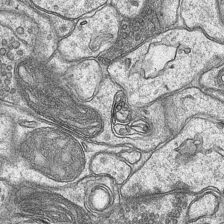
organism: Mouse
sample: CA1 Hippocampus